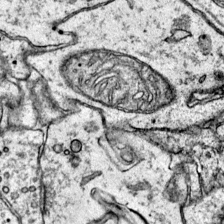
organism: Mouse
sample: Primary visual cortex